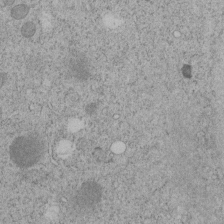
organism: C. elegans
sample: C. elegans embryo early stage